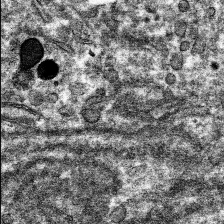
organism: Mouse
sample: Mouse hepatocytes